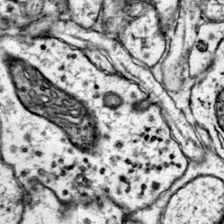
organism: Mouse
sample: Primary visual cortex